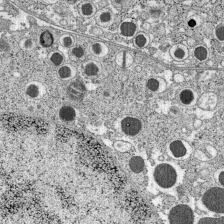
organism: C57BL Mouse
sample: Pancreatic islet